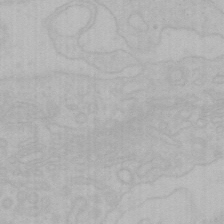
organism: Mouse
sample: Choroid plexus